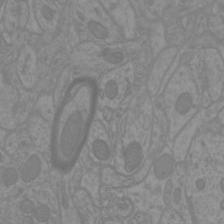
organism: Mouse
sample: Cortical neurons